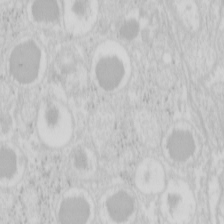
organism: Mouse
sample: Pancreas